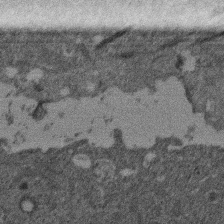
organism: Mouse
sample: Dividing mouse embryo 1 cell stage